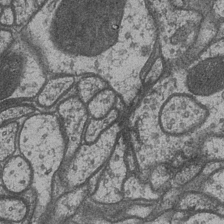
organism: Drosophila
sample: Optic medulla